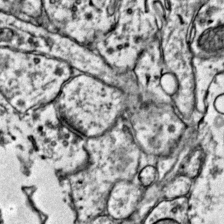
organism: Mouse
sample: Primary visual cortex